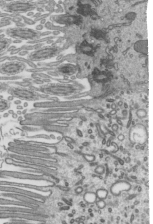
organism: Mouse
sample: Mouse epididymis efferent ductule cilia